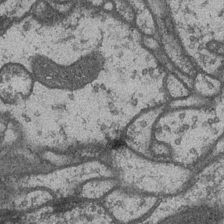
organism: Drosophila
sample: Optic medulla